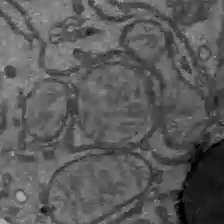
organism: C57BL Mouse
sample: Liver